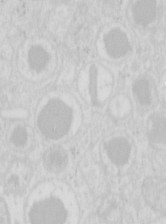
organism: Mouse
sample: Pancreas